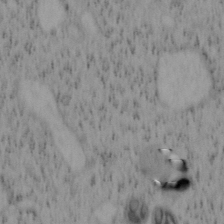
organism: Mouse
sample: OT-I killer T cells with ID8 ovarian cancer cells